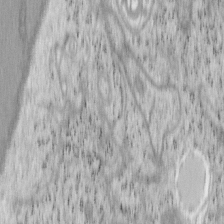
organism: Human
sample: HeLa cells